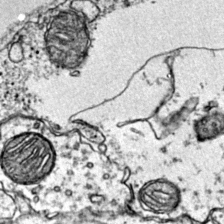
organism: Mouse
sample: Primary visual cortex